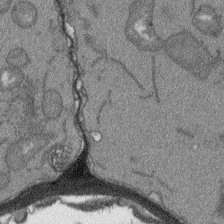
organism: Arabidopsis thaliana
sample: Root tip